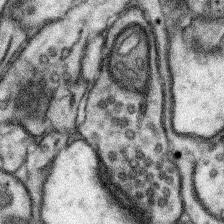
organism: Mouse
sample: Somatosensory cortex neuropil